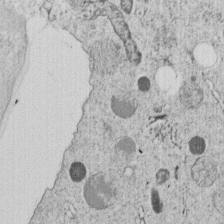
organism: C. elegans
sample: C. elegans embryo early stage